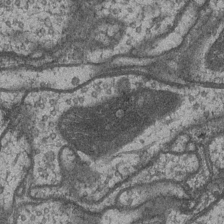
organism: Drosophila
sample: Optic medulla